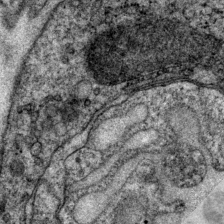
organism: P. pacificus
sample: Pharynx